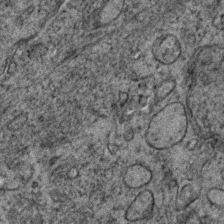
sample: Trachea